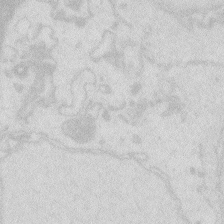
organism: Zebrafish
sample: Macrophage